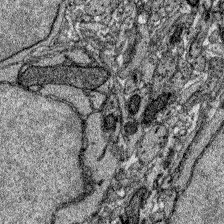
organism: Zebrafish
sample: Larval olfactory bulb